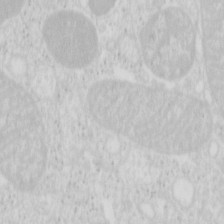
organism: Mouse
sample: Pancreas